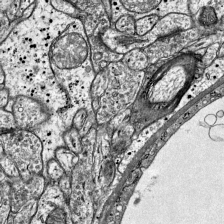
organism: Mouse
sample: Visual Cortex